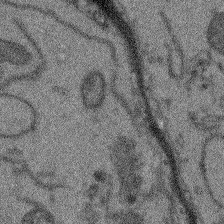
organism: Arabidopsis thaliana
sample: Root tip